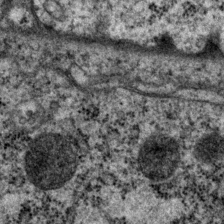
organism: P. pacificus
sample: Pharynx